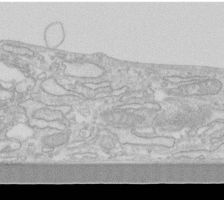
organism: Human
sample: Fibroblast cells